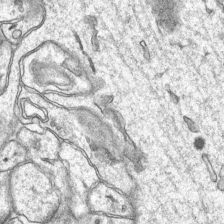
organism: Mouse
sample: CA1 Hippocampus